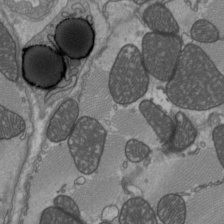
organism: C57BL Mouse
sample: Heart